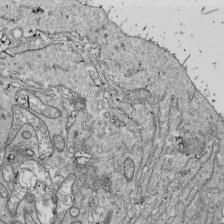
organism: Drosophila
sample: Cell division; meiosis; drosophila spermatocytes